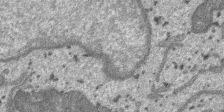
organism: Human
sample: Lung epithelial cells infected with SARS-CoV-2